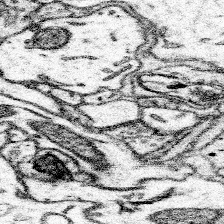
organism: Mouse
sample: Somatosensory cortex neuropil